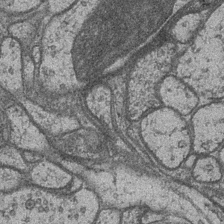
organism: Drosophila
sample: Optic medulla